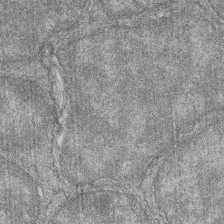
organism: Zebrafish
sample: Cilia; retinal pigment epithelium